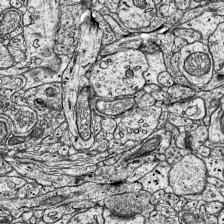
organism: Mouse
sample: Visual Cortex